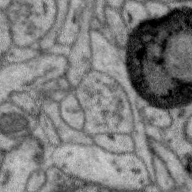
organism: Zebra finch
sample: Brain